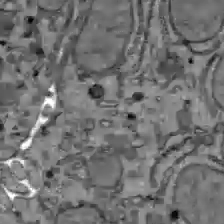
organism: C57BL Mouse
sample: Liver